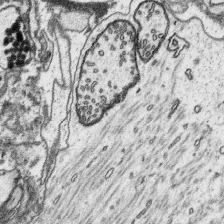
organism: Platynereis dumerilii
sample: Parapodia